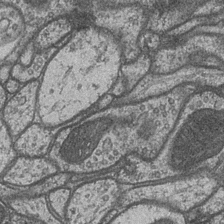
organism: Drosophila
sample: Optic medulla